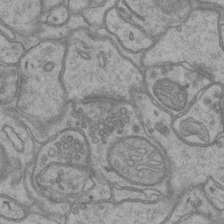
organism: Mouse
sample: CA1 Hippocampus